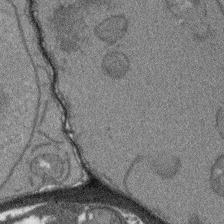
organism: Arabidopsis thaliana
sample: Root tip